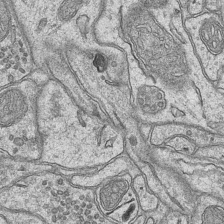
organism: Mouse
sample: CA1 Hippocampus